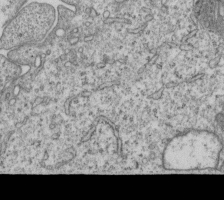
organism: Human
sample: MDA-MB-231 cells